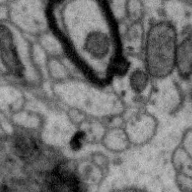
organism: Zebra finch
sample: Brain